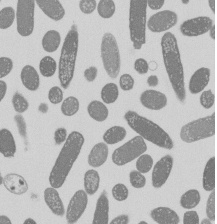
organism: E. coli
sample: Bacterial nucleoid